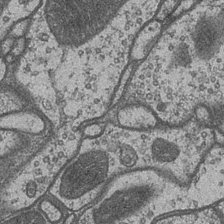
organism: Drosophila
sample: Optic medulla